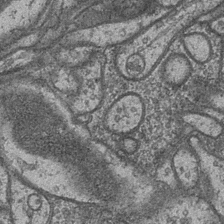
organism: Drosophila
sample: Optic medulla